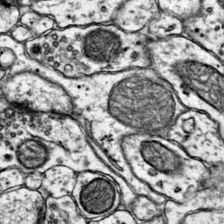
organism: Mouse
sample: Primary visual cortex